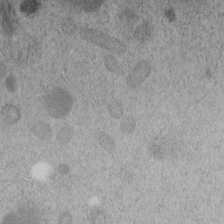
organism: C. elegans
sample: C. elegans embryo early stage